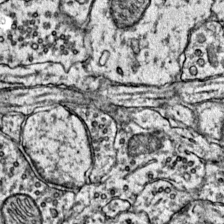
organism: Mouse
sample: Primary visual cortex